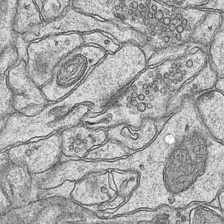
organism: Mouse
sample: CA1 Hippocampus